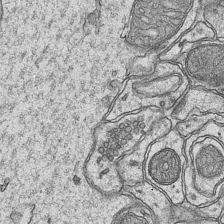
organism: Mouse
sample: CA1 Hippocampus